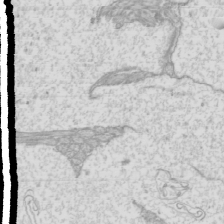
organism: Mouse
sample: Cilia; mouse epididymis